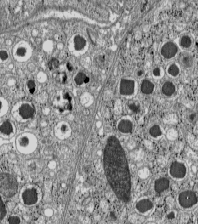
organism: C57BL Mouse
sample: Pancreatic islet